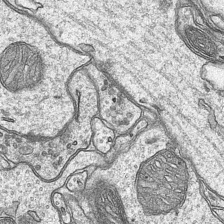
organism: Mouse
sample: CA1 Hippocampus